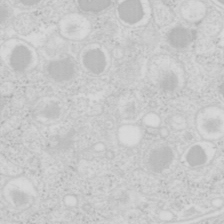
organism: Mouse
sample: Pancreas